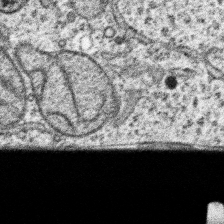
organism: Human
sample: HeLa cells